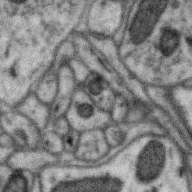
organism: Zebra finch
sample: Brain